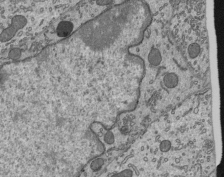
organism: Mouse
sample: Mouse epididymis efferent ductule cilia